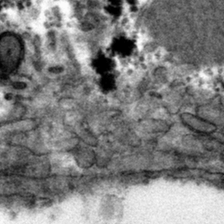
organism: Mouse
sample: Mouse hepatocytes